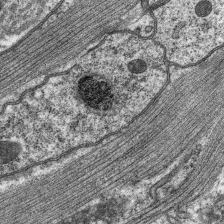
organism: C. elegans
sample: Pharynx